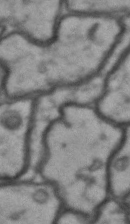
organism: Drosophila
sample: Brain